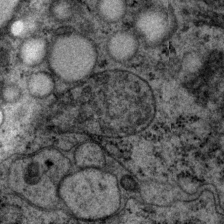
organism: P. pacificus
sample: Pharynx